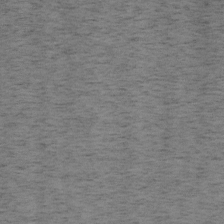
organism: Mouse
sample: OT-I killer T cells with ID8 ovarian cancer cells